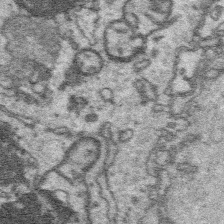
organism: Platynereis dumerilii